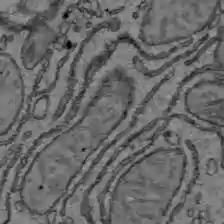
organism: C57BL Mouse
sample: Liver